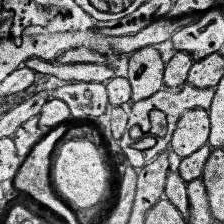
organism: Human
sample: Temporal Lobe